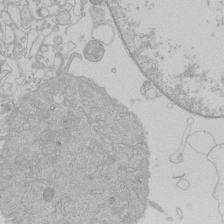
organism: Human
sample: Macrophage cells